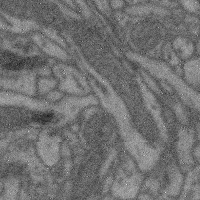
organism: Mouse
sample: Cerebral cortex